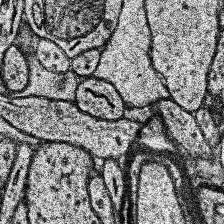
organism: Human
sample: Temporal Lobe